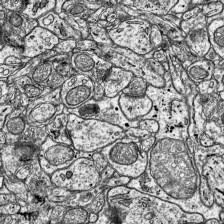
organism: Mouse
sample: Visual Cortex